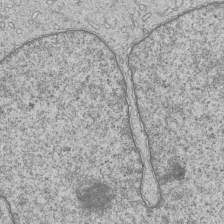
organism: Human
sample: MDA-MB-231 cells